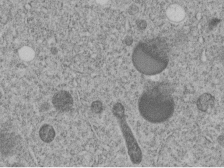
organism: C. elegans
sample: C. elegans embryo early stage